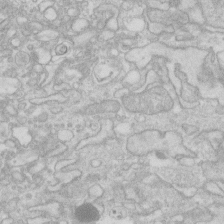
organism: Human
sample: Fibroblast cells